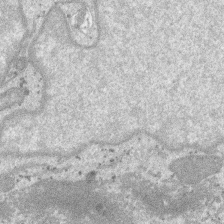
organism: Human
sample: Lung epithelial cells infected with SARS-CoV-2